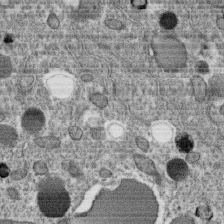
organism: C. elegans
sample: C. elegans oocyte; sperm cells